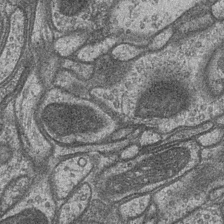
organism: Drosophila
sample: Optic medulla